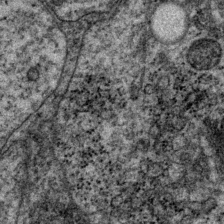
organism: P. pacificus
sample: Pharynx